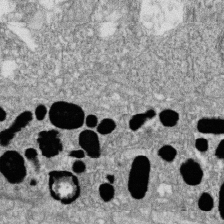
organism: Zebrafish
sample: Cilia; retinal pigment epithelium